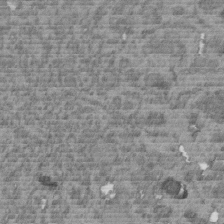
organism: C. elegans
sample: C. elegans embryo early stage